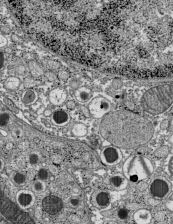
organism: C57BL Mouse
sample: Pancreatic islet